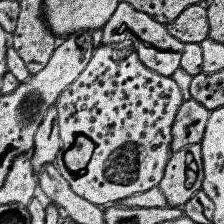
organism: Human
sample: Temporal Lobe